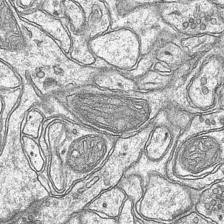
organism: Mouse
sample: CA1 Hippocampus